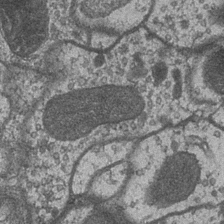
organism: Drosophila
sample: Optic medulla